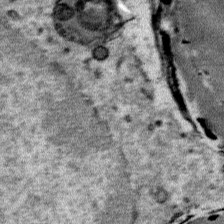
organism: Mouse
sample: Mouse Salivary gland